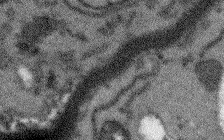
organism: Arabidopsis thaliana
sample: Root tip